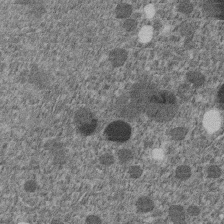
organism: C. elegans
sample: C. elegans embryo early stage